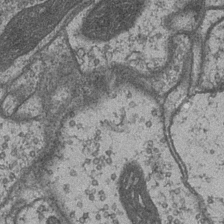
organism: Drosophila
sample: Optic medulla